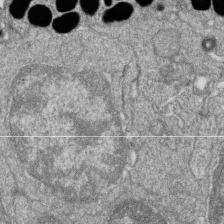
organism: Zebrafish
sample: Cilia; retinal pigment epithelium